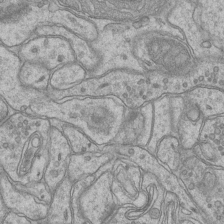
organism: Mouse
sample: CA1 Hippocampus